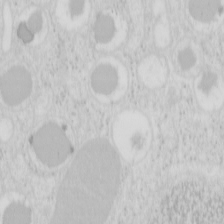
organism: Mouse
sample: Pancreas